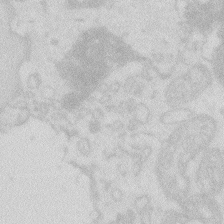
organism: Zebrafish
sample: Macrophage